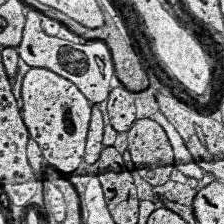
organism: Human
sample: Temporal Lobe